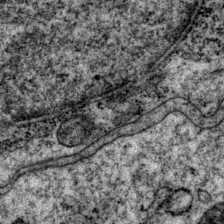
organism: P. pacificus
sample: Pharynx